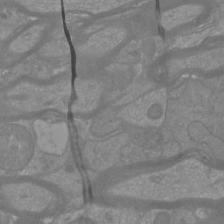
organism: Mouse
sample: Cortical neurons